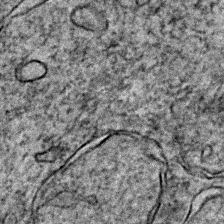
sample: Trachea